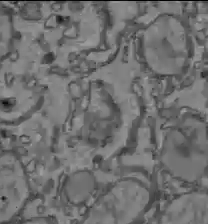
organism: C57BL Mouse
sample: Liver